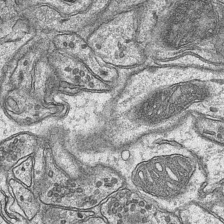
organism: Mouse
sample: CA1 Hippocampus